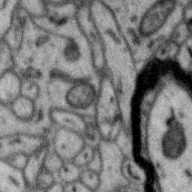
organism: Zebra finch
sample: Brain